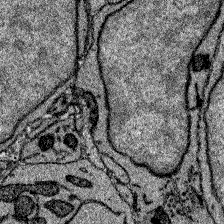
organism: Zebrafish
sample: Larval olfactory bulb